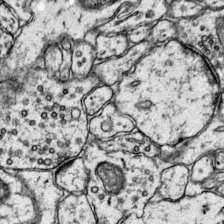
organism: Mouse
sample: Primary visual cortex